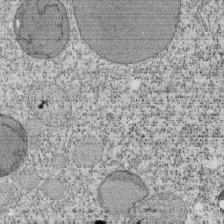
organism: Tetrahymena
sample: Cilia in tetrahymena